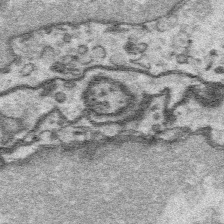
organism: Platynereis dumerilii